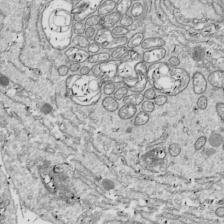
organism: Drosophila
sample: Cell division; meiosis; drosophila spermatocytes